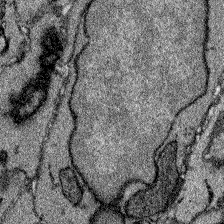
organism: Zebrafish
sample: Larval olfactory bulb